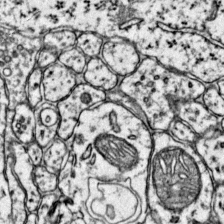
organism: Mouse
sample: Primary visual cortex